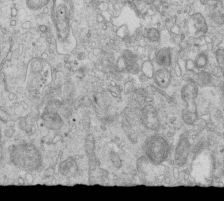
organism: Mouse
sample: Multiciliated cells